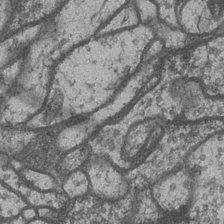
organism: Drosophila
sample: Optic medulla